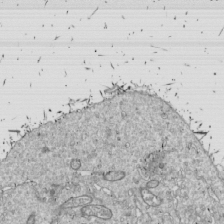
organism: Drosophila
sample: Cell division; meiosis; drosophila spermatocytes